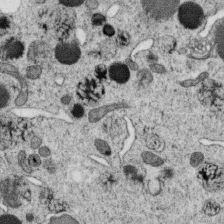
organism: C. elegans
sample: C. elegans oocyte; sperm cells